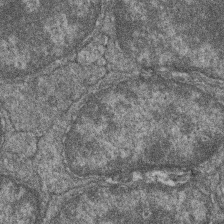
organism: Zebrafish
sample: Cilia; retinal pigment epithelium